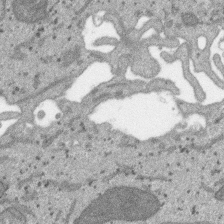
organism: Human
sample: Lung epithelial cells infected with SARS-CoV-2